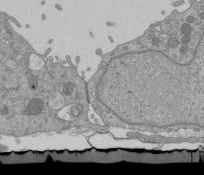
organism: Mouse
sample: ED-1 cell nuclei; centrioles